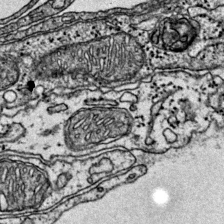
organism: Mouse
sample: Primary visual cortex